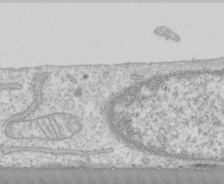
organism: Human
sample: CRL-1474